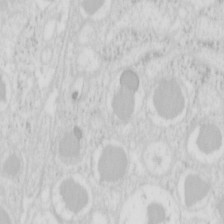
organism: Mouse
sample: Pancreas